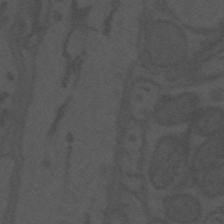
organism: Mouse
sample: Suprachiasmatic nucleus